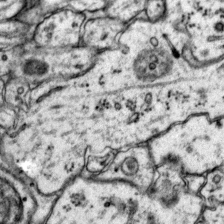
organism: Mouse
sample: Primary visual cortex